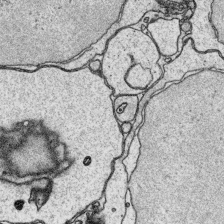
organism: Platynereis dumerilii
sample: Parapodia